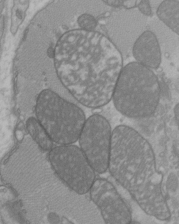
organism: C57BL Mouse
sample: Heart